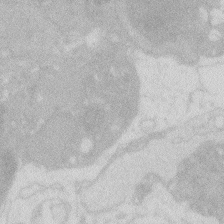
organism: Zebrafish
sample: Macrophage